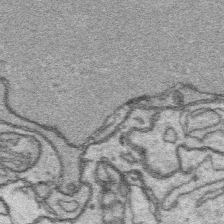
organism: Platynereis dumerilii